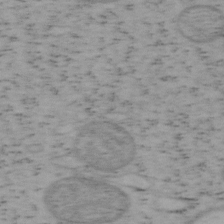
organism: Mouse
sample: OT-I killer T cells with ID8 ovarian cancer cells